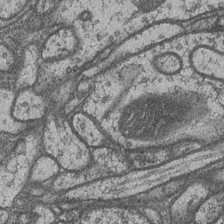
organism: Drosophila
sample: Optic medulla